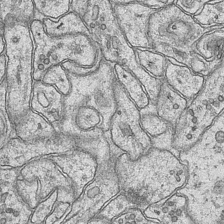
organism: Mouse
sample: CA1 Hippocampus